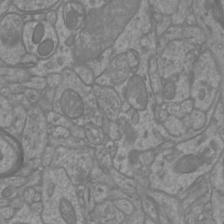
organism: Mouse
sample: Cortical neurons